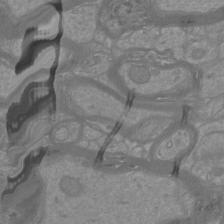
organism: Mouse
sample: Cortical neurons